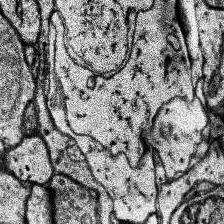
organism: Human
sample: Temporal Lobe